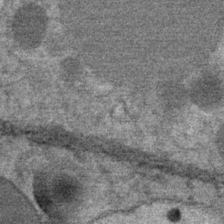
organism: Mouse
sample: Mouse Salivary gland